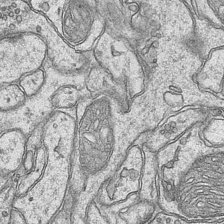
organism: Mouse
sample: CA1 Hippocampus